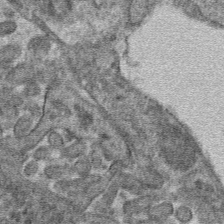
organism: Mouse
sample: Mouse hepatocytes